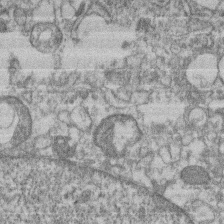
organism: Mouse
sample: T cell stromal cell synapse